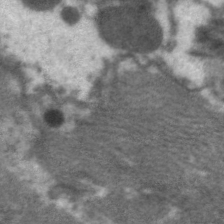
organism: C. elegans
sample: Pharynx